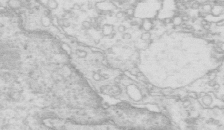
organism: Mouse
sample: Multiciliated cells